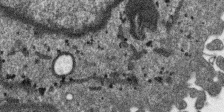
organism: Human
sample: Lung epithelial cells infected with SARS-CoV-2